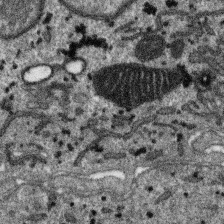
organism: Human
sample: Lung epithelial cells infected with SARS-CoV-2